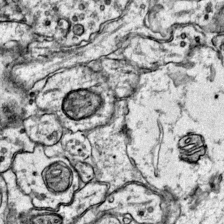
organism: Mouse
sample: Primary visual cortex